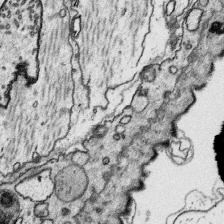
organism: Platynereis dumerilii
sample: Parapodia